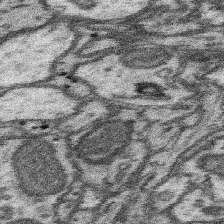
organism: Mouse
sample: Somatosensory cortex neuropil